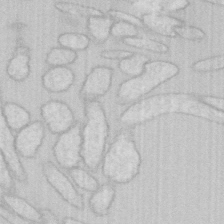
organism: Human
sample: HeLa cells